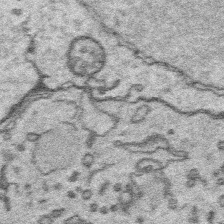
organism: Platynereis dumerilii